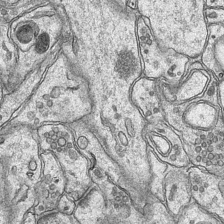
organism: Mouse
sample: CA1 Hippocampus